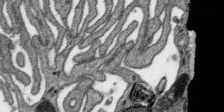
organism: Human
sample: Lung epithelial cells, uninfected (mock) control